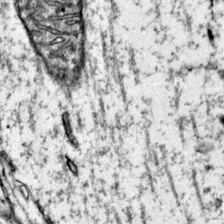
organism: Mouse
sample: Primary visual cortex